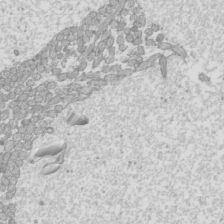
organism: Mouse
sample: Cilia; mouse epididymis